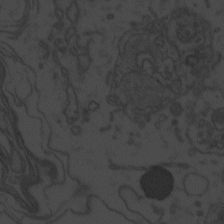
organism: Zebrafish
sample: Macrophage infected with Toxoplasma gondii